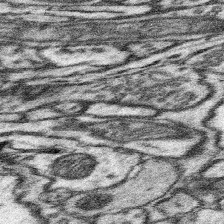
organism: Mouse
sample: Somatosensory cortex neuropil